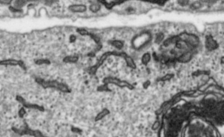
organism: Toxoplasma gondii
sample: Parasites in a vacuole inside a host cell